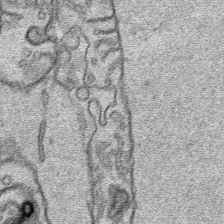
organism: Human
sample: Mitochondria in HCT116 cells